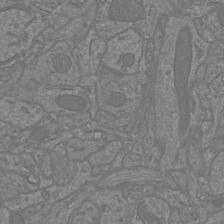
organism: Mouse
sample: Cortical neurons